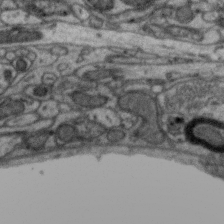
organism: Zebra finch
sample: Brain